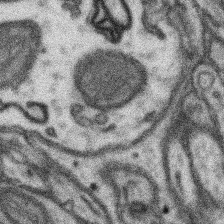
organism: Mouse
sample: Somatosensory cortex neuropil